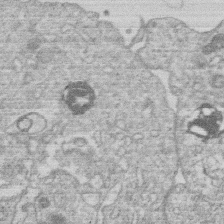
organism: Human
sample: Macrophage cells